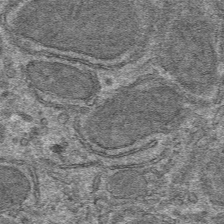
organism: Mouse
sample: Mouse hepatocytes